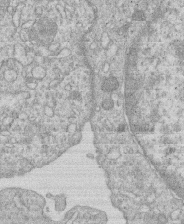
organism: Human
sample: Macrophage cells